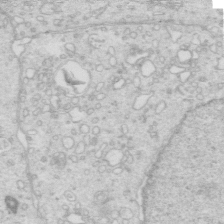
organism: Mouse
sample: Multiciliated cells